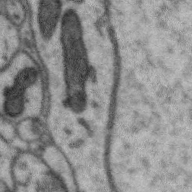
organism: Zebra finch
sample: Brain